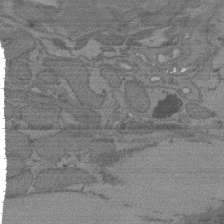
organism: C. elegans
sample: AFD neurons C. elegans